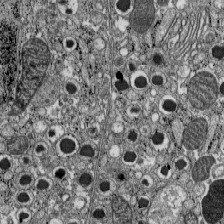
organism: C57BL Mouse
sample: Pancreatic islet